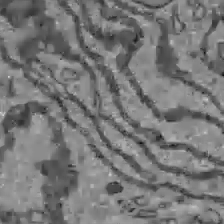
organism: C57BL Mouse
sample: Liver